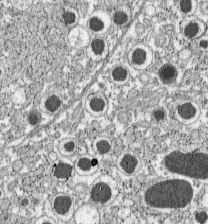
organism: C57BL Mouse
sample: Pancreatic islet